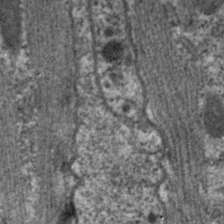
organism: C. elegans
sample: Pharynx